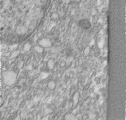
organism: Human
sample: Centriole in RPE cells